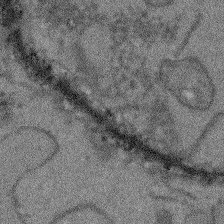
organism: Arabidopsis thaliana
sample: Root tip